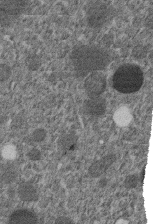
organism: C. elegans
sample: C. elegans embryo early stage